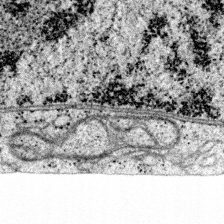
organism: Human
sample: HeLa cells